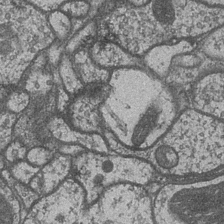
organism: Drosophila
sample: Optic medulla